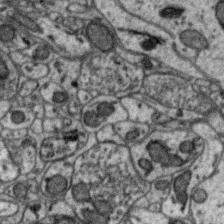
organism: Zebra finch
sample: Brain